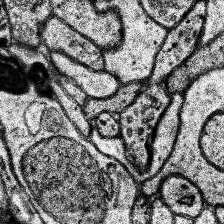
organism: Human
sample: Temporal Lobe